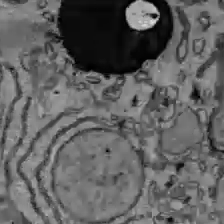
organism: C57BL Mouse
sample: Liver